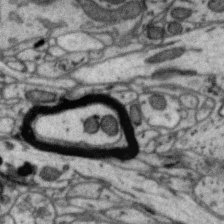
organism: Zebra finch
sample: Brain